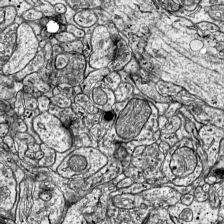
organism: Mouse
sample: Visual Cortex